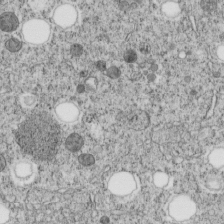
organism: C. elegans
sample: C. elegans embryo early stage